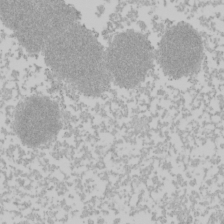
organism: Mouse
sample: Cancer cell death in ED-1 cells